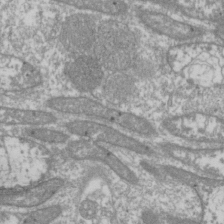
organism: Drosophila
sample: Cell division; meiosis; drosophila spermatocytes